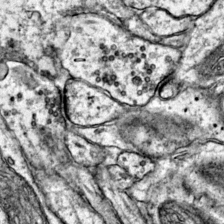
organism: Mouse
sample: Primary visual cortex